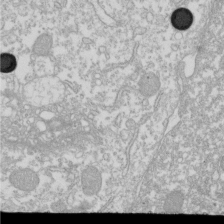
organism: Xenopus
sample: Cilia; centrioles in frog embryo cells